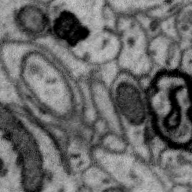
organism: Zebra finch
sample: Brain